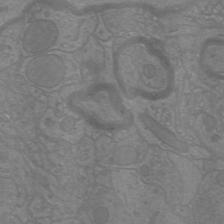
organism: Mouse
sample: Cortical neurons